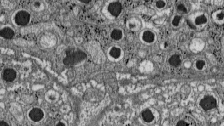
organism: C57BL Mouse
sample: Pancreatic islet